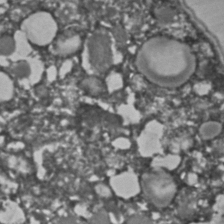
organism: C. elegans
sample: C. elegans embryo